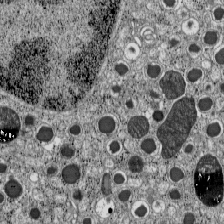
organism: C57BL Mouse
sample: Pancreatic islet